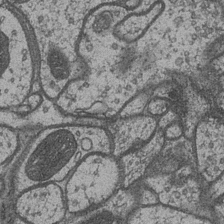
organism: Drosophila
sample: Optic medulla